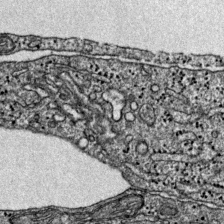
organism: Mouse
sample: Primary visual cortex